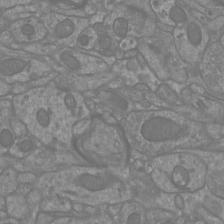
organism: Mouse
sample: Cortical neurons